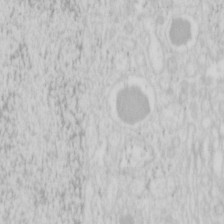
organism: Mouse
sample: Pancreas